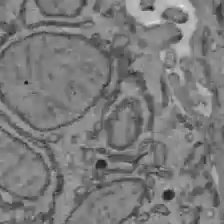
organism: C57BL Mouse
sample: Liver